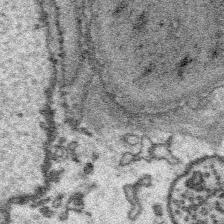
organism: Platynereis dumerilii